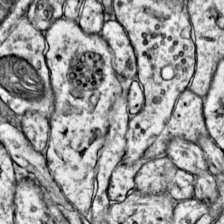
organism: Mouse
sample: Primary visual cortex